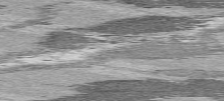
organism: C57BL Mouse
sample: Heart